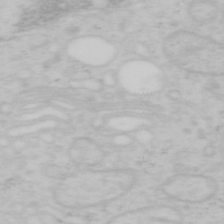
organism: Mouse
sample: OT-I killer T cells with ID8 ovarian cancer cells